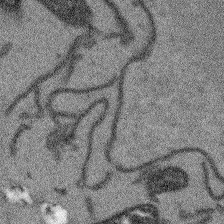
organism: Arabidopsis thaliana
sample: Root tip